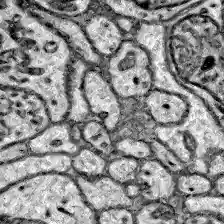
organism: Zebrafish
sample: Brain